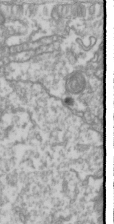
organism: Drosophila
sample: Cell division; meiosis; drosophila spermatocytes